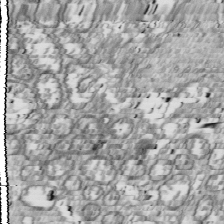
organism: Drosophila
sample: Cell division; meiosis; drosophila spermatocytes